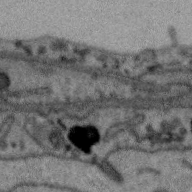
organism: Zebra finch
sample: Brain